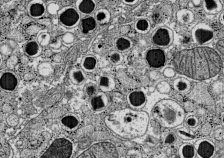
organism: C57BL Mouse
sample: Pancreatic islet